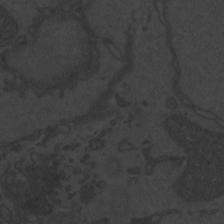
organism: Zebrafish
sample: Macrophage infected with Toxoplasma gondii